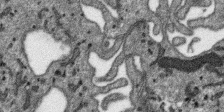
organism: Human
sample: Lung epithelial cells infected with SARS-CoV-2